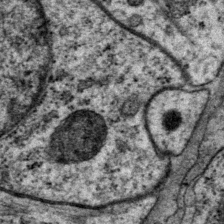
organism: P. pacificus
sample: Pharynx